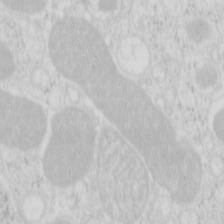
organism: Mouse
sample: Pancreas